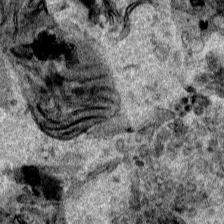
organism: Human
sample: Mitochondria in HCT116 cells